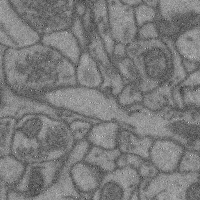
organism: Mouse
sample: Cerebral cortex